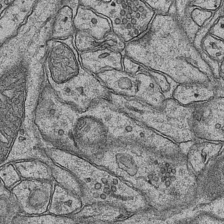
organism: Mouse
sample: CA1 Hippocampus